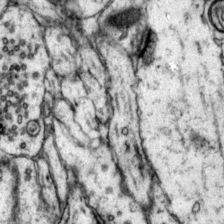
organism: Mouse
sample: Primary visual cortex